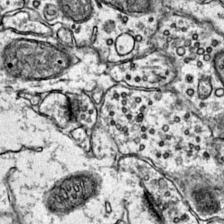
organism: Mouse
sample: Primary visual cortex